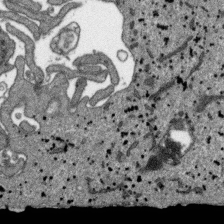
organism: Human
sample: Lung epithelial cells, uninfected (mock) control